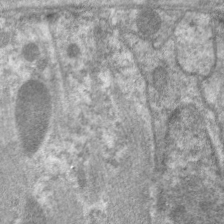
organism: C. elegans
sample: Pharynx